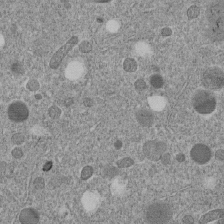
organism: C. elegans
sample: C. elegans embryo early stage